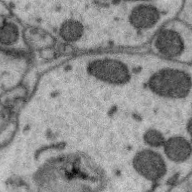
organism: Zebra finch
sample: Brain